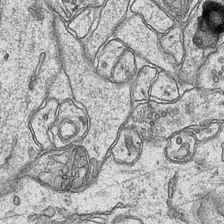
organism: Mouse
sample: CA1 Hippocampus